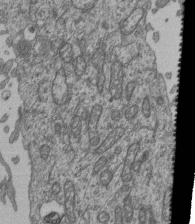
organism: Human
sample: Retinal organoid Rod and Cone cells